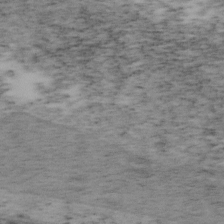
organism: Mouse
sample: OT-I killer T cells with ID8 ovarian cancer cells